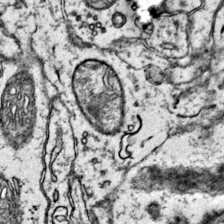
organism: Mouse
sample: Primary visual cortex